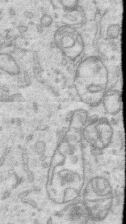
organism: Human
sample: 1205lu cells